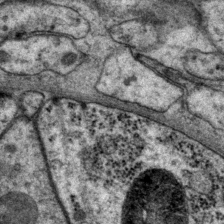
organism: P. pacificus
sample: Pharynx